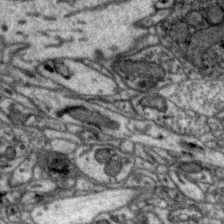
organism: Zebra finch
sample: Brain